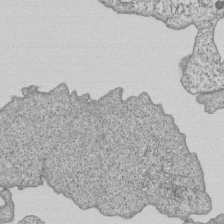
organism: Human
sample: MDA-MB-231 cells